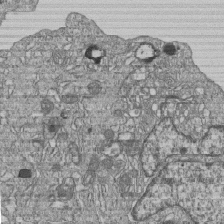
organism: Human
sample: MDA-MB-231 cells